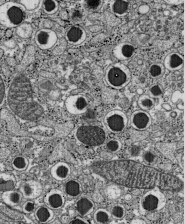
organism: C57BL Mouse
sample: Pancreatic islet